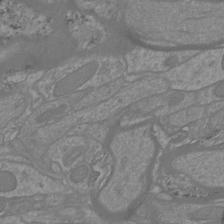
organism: Mouse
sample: Cortical neurons